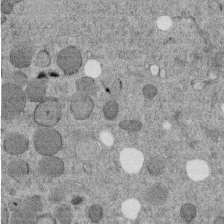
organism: C. elegans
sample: C. elegans embryo early stage